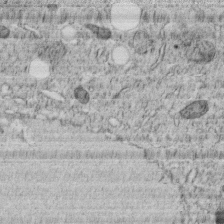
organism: C. elegans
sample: C. elegans embryo early stage